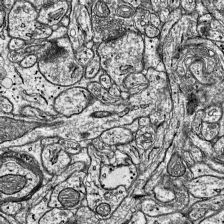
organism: Mouse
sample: Visual Cortex